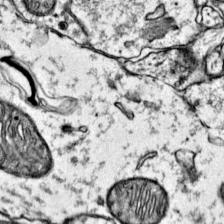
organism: Mouse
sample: Primary visual cortex